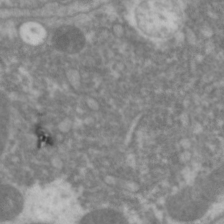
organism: C. elegans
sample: Pharynx